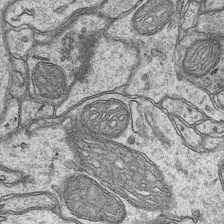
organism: Mouse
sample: CA1 Hippocampus